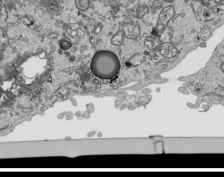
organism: Human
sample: Mitochondria in HCT116 cells